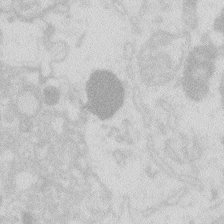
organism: Zebrafish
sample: Macrophage